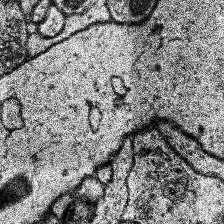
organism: Human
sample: Temporal Lobe